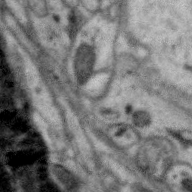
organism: Zebra finch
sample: Brain